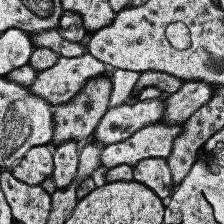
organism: Human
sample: Temporal Lobe